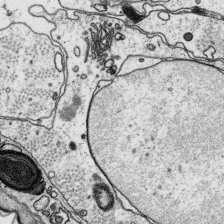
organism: Platynereis dumerilii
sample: Parapodia